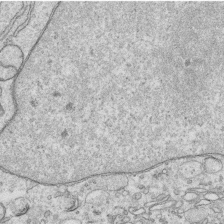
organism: Human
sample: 1205lu cells